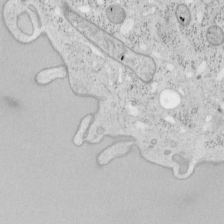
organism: Mouse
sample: OT-I killer T cells with ID8 ovarian cancer cells